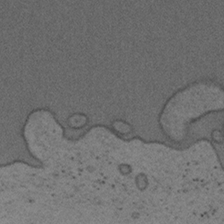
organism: Human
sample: HeLa cells